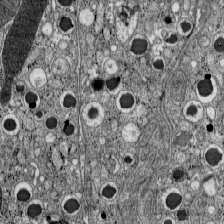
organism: C57BL Mouse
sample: Pancreatic islet